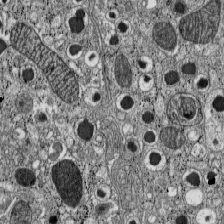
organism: C57BL Mouse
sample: Pancreatic islet